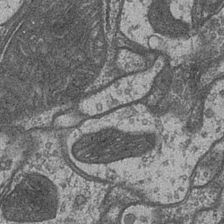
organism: Drosophila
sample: Optic medulla